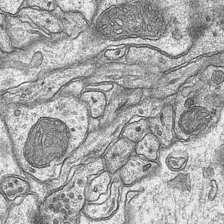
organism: Mouse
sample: CA1 Hippocampus